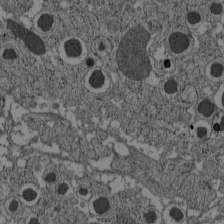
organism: C57BL Mouse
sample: Pancreatic islet